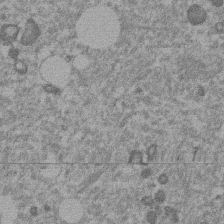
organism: Mouse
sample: Dividing mouse embryo 1 cell stage